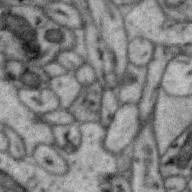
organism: Zebra finch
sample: Brain